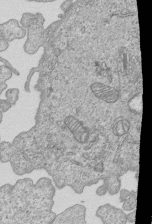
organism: Human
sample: MDA-MB-231 cells